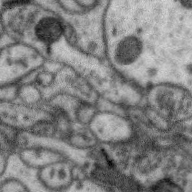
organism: Zebra finch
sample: Brain